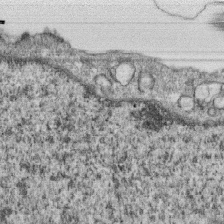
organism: African green monkey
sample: Vero E6 cells infected with SARS-CoV-2